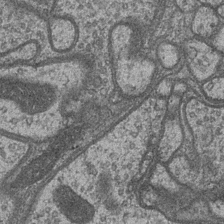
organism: Drosophila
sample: Optic medulla